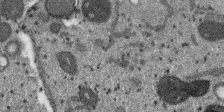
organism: Human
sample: Lung epithelial cells infected with SARS-CoV-2